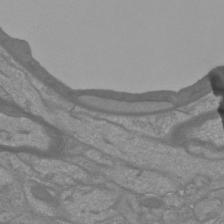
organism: Mouse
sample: Cortical neurons